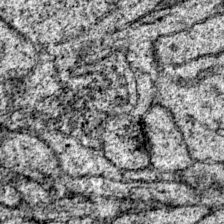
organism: Mouse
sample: Primary visual cortex